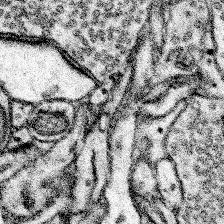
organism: Mouse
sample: Somatosensory cortex neuropil